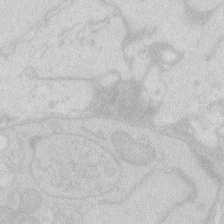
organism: Zebrafish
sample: Macrophage